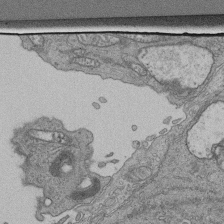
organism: Human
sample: Retinal organoid Rod and Cone cells